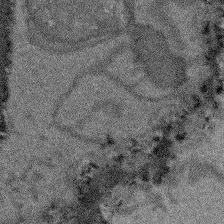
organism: Arabidopsis thaliana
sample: Root tip